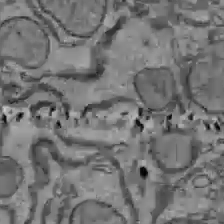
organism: C57BL Mouse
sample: Liver